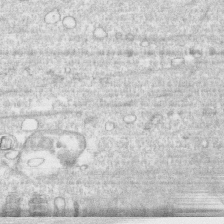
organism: Human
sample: CRL-1474